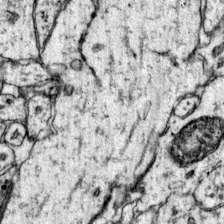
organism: Mouse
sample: Primary visual cortex